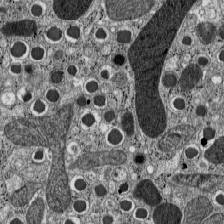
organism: C57BL Mouse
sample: Pancreatic islet